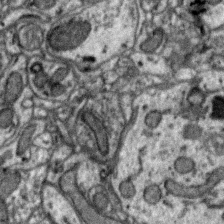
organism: Zebra finch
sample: Brain